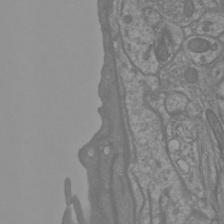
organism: Mouse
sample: Cortical neurons